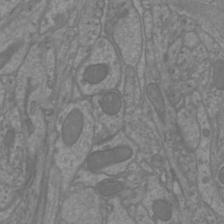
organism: Mouse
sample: Cortical neurons